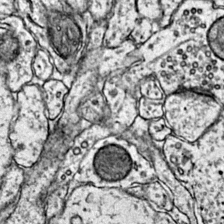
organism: Mouse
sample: Primary visual cortex